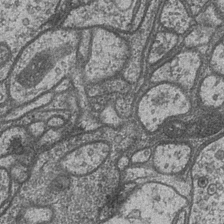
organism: Drosophila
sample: Optic medulla